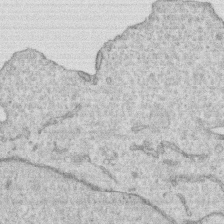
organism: Human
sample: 1205lu cells